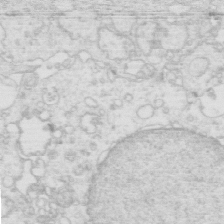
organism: Mouse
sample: Multiciliated cells